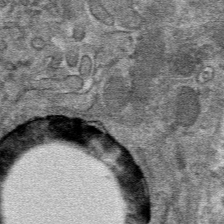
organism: Mouse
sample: Mouse hepatocytes